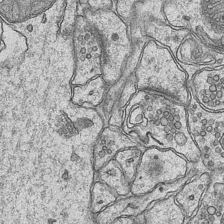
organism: Mouse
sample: CA1 Hippocampus